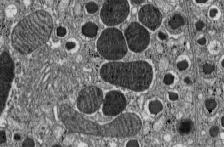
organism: C57BL Mouse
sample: Pancreatic islet